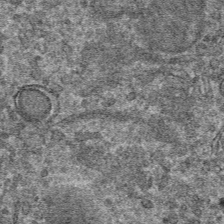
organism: Mouse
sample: Mouse hepatocytes